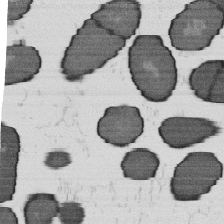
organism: B. subtilis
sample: Bacterial spore